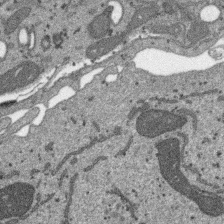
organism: Human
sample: Lung epithelial cells infected with SARS-CoV-2